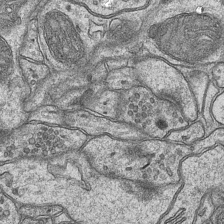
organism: Mouse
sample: CA1 Hippocampus